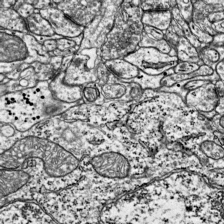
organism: Mouse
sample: Visual Cortex